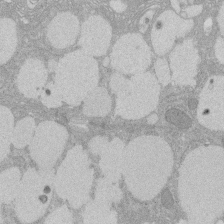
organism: Rat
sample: Salivary granule